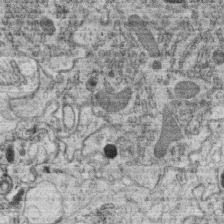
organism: C. elegans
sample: C. elegans oocyte; sperm cells